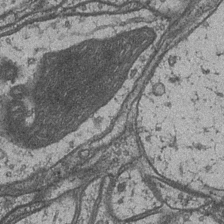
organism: Drosophila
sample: Optic medulla